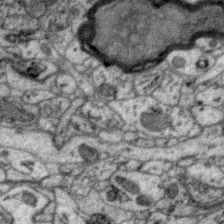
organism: Zebra finch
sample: Brain